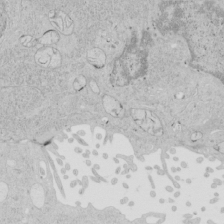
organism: Human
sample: Mitochondria in HCT116 cells